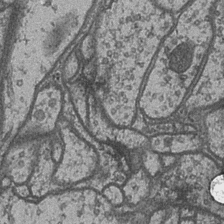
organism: Drosophila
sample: Optic medulla